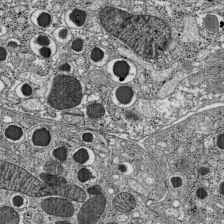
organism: C57BL Mouse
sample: Pancreatic islet